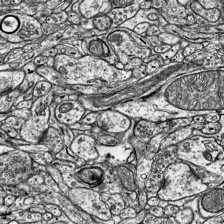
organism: Mouse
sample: Visual Cortex